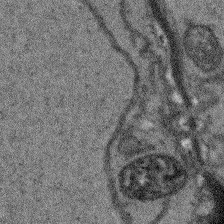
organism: Arabidopsis thaliana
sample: Root tip